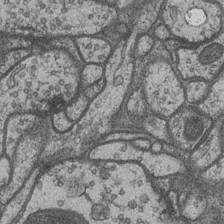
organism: Drosophila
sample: Optic medulla